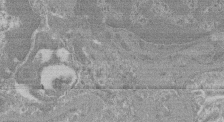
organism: Mouse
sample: Glomerulus